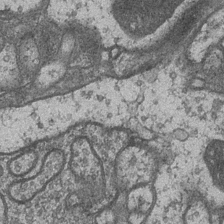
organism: Drosophila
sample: Optic medulla